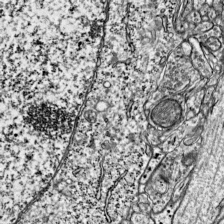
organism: Mouse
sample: Visual Cortex